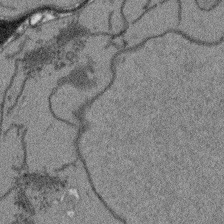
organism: Arabidopsis thaliana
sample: Root tip